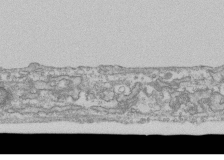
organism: Human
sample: Fibroblast cells